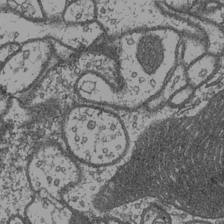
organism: Drosophila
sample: Optic medulla